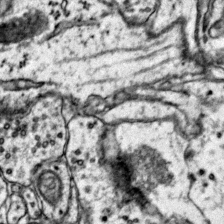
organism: Mouse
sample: Primary visual cortex